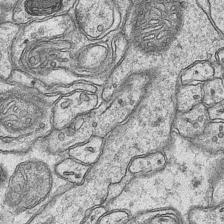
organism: Mouse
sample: CA1 Hippocampus